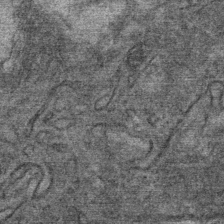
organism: Mouse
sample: Mouse Salivary gland